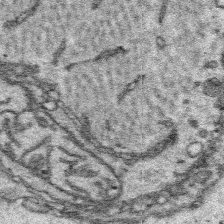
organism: Platynereis dumerilii